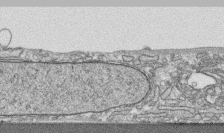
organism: Human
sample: CRL-1474